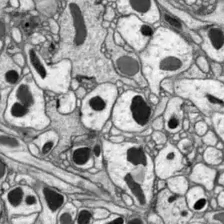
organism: Drosophila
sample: Optic lobe